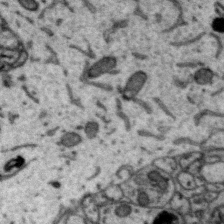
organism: Zebra finch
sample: Brain